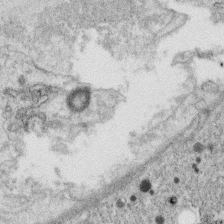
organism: C. elegans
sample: C. elegans oocyte; sperm cells